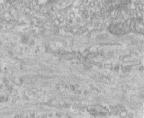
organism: Human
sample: Centriole in fibroblast cells